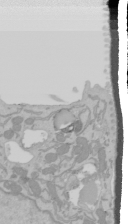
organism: Mouse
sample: Cancer cell death in ED-1 cells